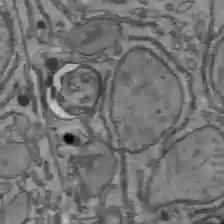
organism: C57BL Mouse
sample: Liver